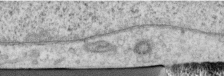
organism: Human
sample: Centriole in RPE cells